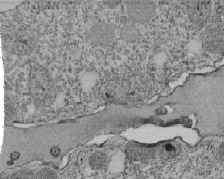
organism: Tetrahymena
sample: Cilia in tetrahymena